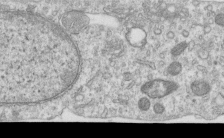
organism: Human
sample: Centriole in RPE cells